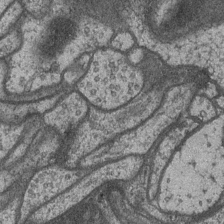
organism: Drosophila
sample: Optic medulla